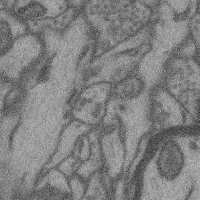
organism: Mouse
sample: Cerebral cortex